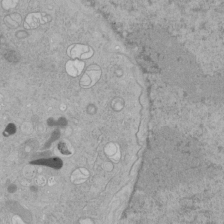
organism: Human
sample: Mitochondria in HCT116 cells